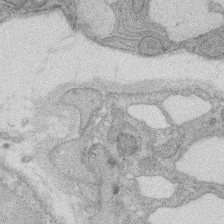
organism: Rat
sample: Salivary granule